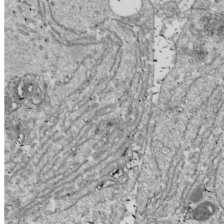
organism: Drosophila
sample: Cell division; meiosis; drosophila spermatocytes